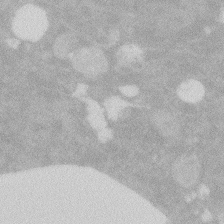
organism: Zebrafish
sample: Macrophage